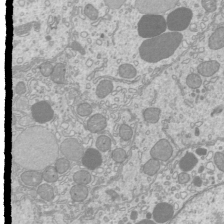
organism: Mouse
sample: Cilia; mouse epididymis